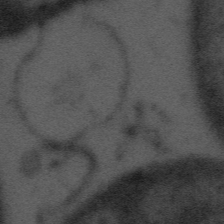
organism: Tuwongella immobilis